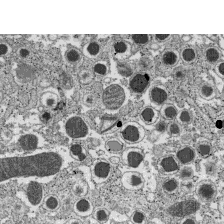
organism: C57BL Mouse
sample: Pancreatic islet